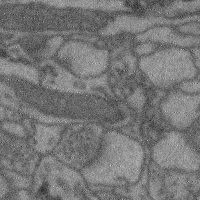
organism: Mouse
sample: Cerebral cortex